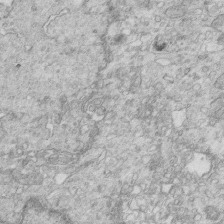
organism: Mouse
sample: Multiciliated cells